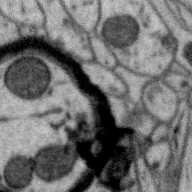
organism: Zebra finch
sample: Brain